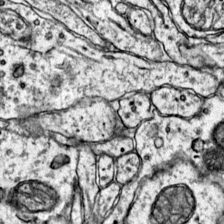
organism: Mouse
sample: Primary visual cortex